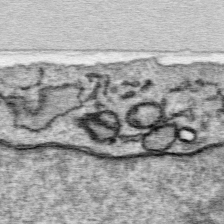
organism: Human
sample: HeLa cells